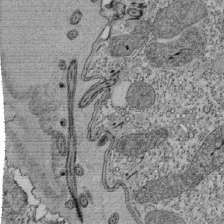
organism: Tetrahymena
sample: Cilia in tetrahymena